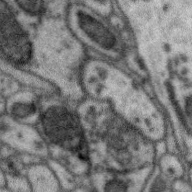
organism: Zebra finch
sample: Brain